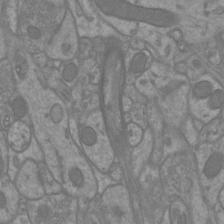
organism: Mouse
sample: Cortical neurons